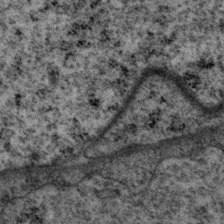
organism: P. pacificus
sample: Pharynx